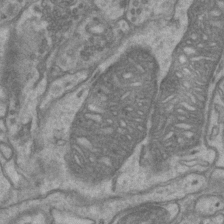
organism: Mouse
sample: CA1 Hippocampus